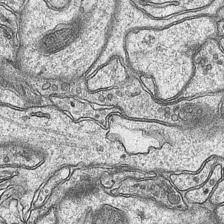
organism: Mouse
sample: CA1 Hippocampus